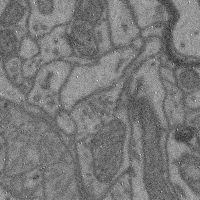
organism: Mouse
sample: Cerebral cortex